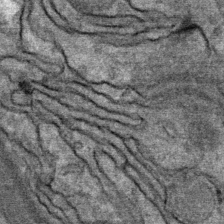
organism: Mouse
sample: Mouse Salivary gland